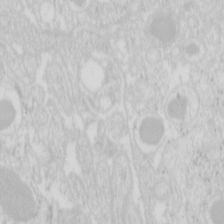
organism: Mouse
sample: Pancreas